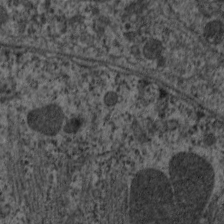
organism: C. elegans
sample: Pharynx